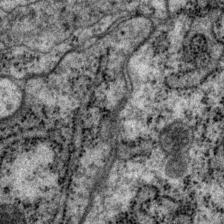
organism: P. pacificus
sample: Pharynx